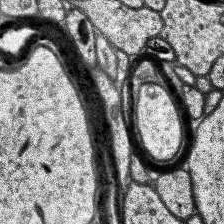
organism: Human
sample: Temporal Lobe